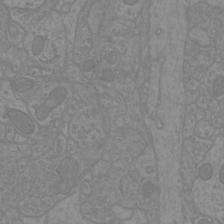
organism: Mouse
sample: Cortical neurons